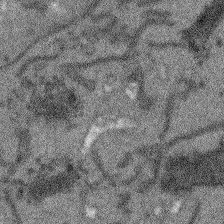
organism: Arabidopsis thaliana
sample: Root tip